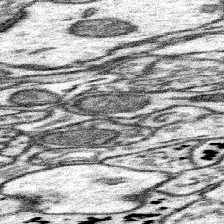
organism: Mouse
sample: Somatosensory cortex neuropil